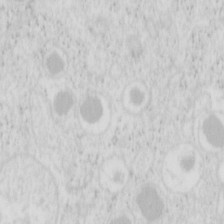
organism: Mouse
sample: Pancreas